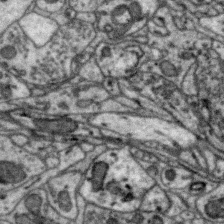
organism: Zebra finch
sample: Brain